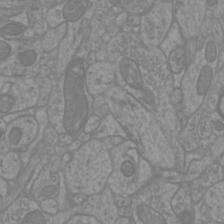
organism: Mouse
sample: Cortical neurons